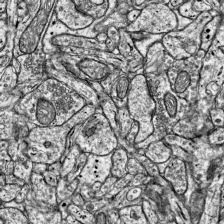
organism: Mouse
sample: Visual Cortex